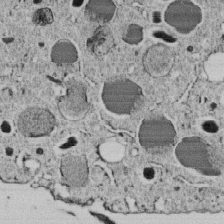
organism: C. elegans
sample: C. elegans embryo early stage